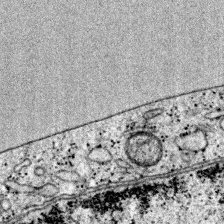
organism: Human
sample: HeLa cells